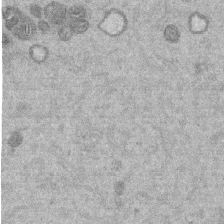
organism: Mouse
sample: Dividing mouse embryo 1 cell stage